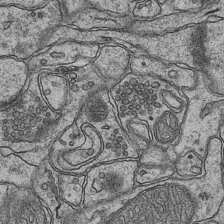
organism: Mouse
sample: CA1 Hippocampus